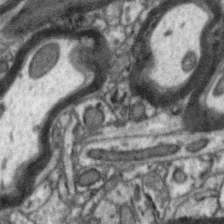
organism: Zebra finch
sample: Brain